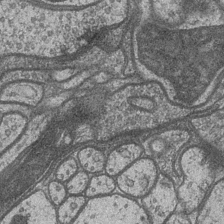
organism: Drosophila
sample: Optic medulla